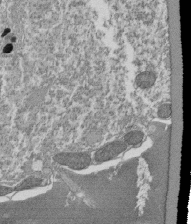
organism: Tetrahymena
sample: Cilia in tetrahymena